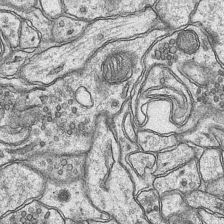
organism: Mouse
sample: CA1 Hippocampus